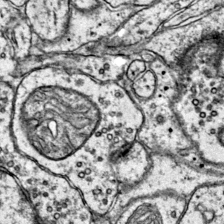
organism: Mouse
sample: Primary visual cortex